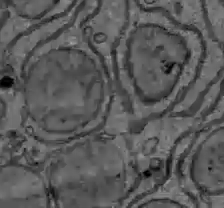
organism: C57BL Mouse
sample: Liver